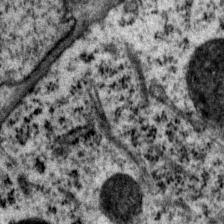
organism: P. pacificus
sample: Pharynx